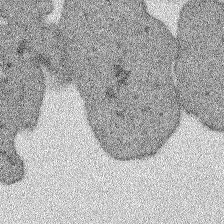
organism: Human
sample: HeLa cells